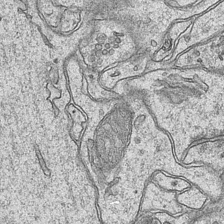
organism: Mouse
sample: CA1 Hippocampus